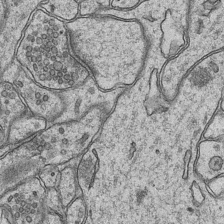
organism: Mouse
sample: CA1 Hippocampus